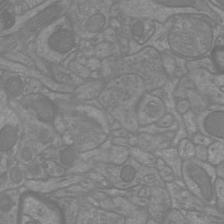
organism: Mouse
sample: Cortical neurons